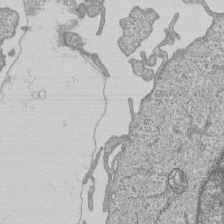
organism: Human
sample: MDA-MB-231 cells